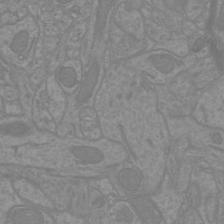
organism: Mouse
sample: Cortical neurons